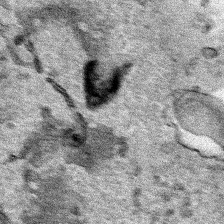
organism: Human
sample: Mitochondria in HCT116 cells